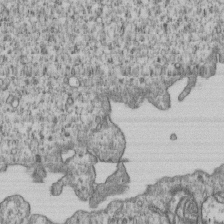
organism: Human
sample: MDA-MB-231 cells